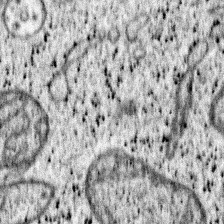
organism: Human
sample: HeLa cells